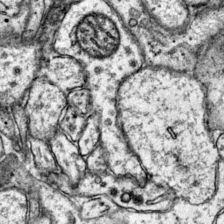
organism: Mouse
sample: Primary visual cortex